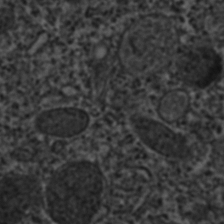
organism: C. elegans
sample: C. elegans embryo